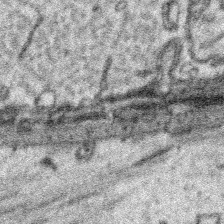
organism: Platynereis dumerilii